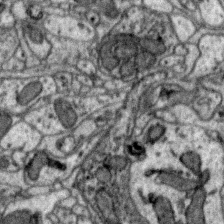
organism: Zebra finch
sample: Brain